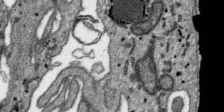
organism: Human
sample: Lung epithelial cells, uninfected (mock) control